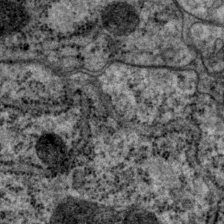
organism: P. pacificus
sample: Pharynx